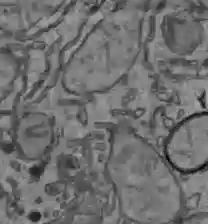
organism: C57BL Mouse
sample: Liver